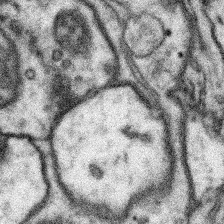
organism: Mouse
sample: Somatosensory cortex neuropil